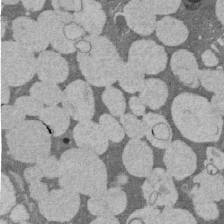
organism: Rat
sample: Salivary granule